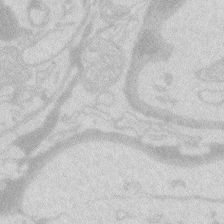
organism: Zebrafish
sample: Macrophage